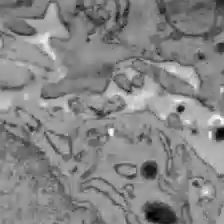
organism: C57BL Mouse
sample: Liver